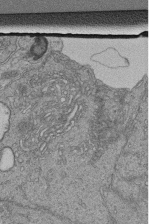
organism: Human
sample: Retinal organoid Rod and Cone cells